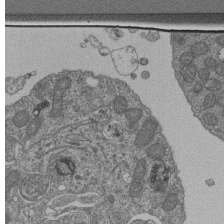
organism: Human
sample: Retinal organoid Rod and Cone cells